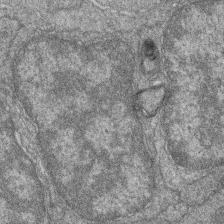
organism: Zebrafish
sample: Cilia; retinal pigment epithelium